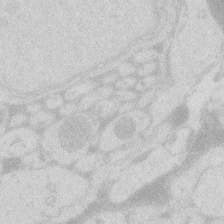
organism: Zebrafish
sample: Macrophage